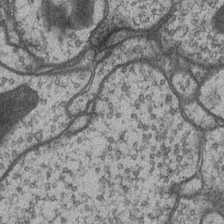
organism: Drosophila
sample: Optic medulla